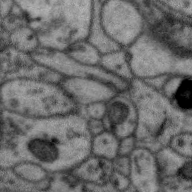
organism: Zebra finch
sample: Brain